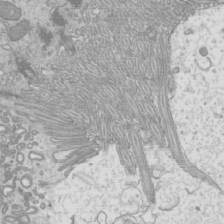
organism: Mouse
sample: Cilia; mouse epididymis